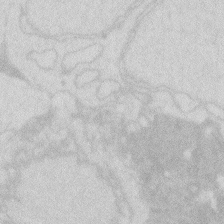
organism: Zebrafish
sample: Macrophage